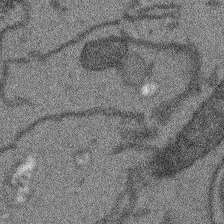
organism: Arabidopsis thaliana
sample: Root tip